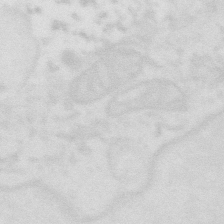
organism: Human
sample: HeLa cells